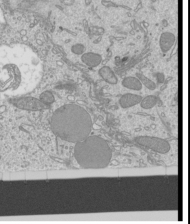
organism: Mouse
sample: Cilia; mouse epididymis